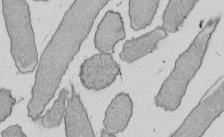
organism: E. coli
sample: Bacterial nucleoid